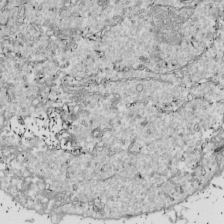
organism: Drosophila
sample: Cell division; meiosis; drosophila spermatocytes